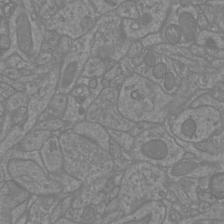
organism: Mouse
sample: Cortical neurons